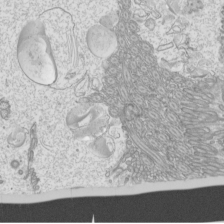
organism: Mouse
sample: Cilia; mouse epididymis